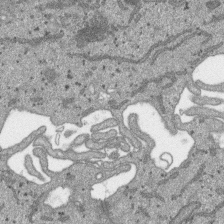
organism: Human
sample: Lung epithelial cells infected with SARS-CoV-2